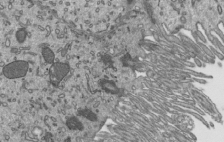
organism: Mouse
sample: Mouse epididymis efferent ductule cilia